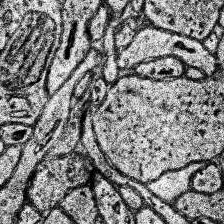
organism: Human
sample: Temporal Lobe